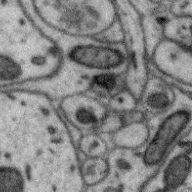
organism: Zebra finch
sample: Brain